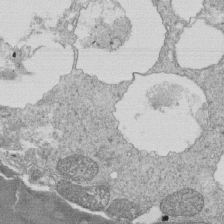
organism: Tetrahymena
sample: Cilia in tetrahymena